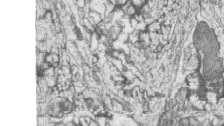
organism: Zebrafish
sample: synaptic ribbons in rod cells and cone cells